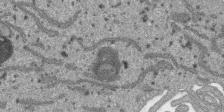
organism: Human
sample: Lung epithelial cells infected with SARS-CoV-2